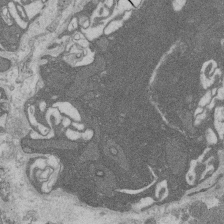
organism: Rat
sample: Salivary granule